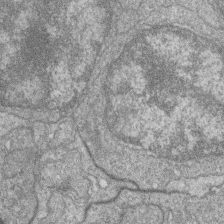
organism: Zebrafish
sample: Cilia; retinal pigment epithelium